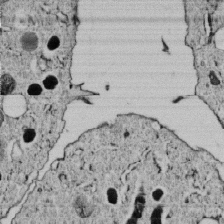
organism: C. elegans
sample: C. elegans embryo early stage